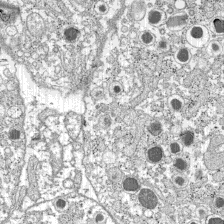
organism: C57BL Mouse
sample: Pancreatic islet